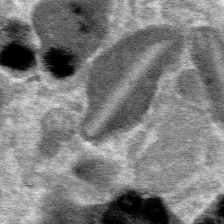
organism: Mouse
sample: Mouse hepatocytes